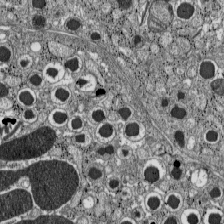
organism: C57BL Mouse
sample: Pancreatic islet